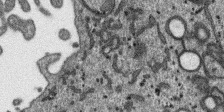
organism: Human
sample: Lung epithelial cells infected with SARS-CoV-2